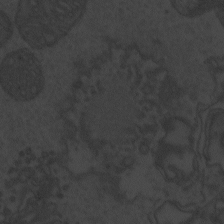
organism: Zebrafish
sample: Macrophage infected with Toxoplasma gondii